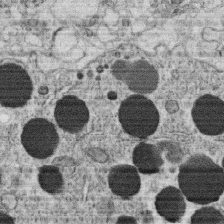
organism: C. elegans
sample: C. elegans oocyte; sperm cells